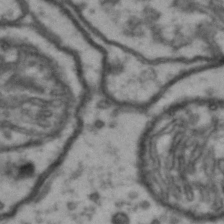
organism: Drosophila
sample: Brain